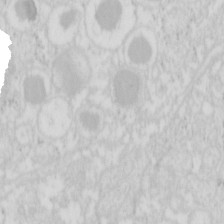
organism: Mouse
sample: Pancreas